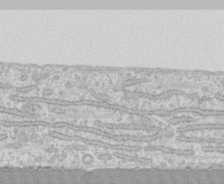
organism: Human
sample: CRL-1474